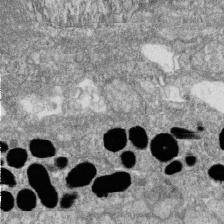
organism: Zebrafish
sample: Cilia; retinal pigment epithelium